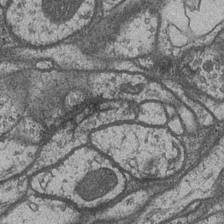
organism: Drosophila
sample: Optic medulla